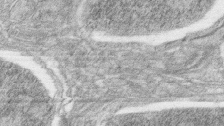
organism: Zebrafish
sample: synaptic ribbons in rod cells and cone cells